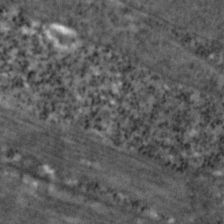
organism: Zebrafish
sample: Zebrafish embryo